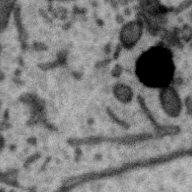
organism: Zebra finch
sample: Brain